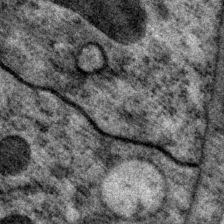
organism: P. pacificus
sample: Pharynx